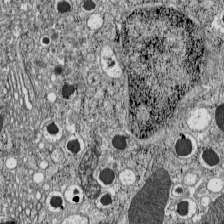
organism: C57BL Mouse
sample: Pancreatic islet